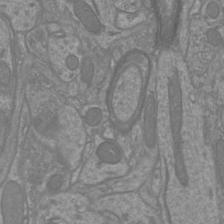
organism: Mouse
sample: Cortical neurons